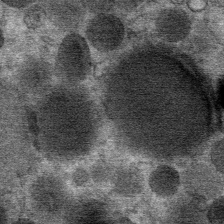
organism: Mouse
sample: Mouse Salivary gland